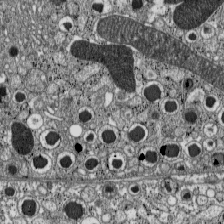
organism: C57BL Mouse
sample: Pancreatic islet